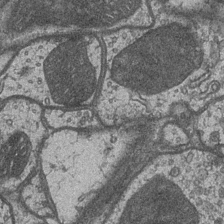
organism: Drosophila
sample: Optic medulla